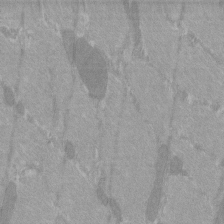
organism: C57BL Mouse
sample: Tibialis anterior muscle cell